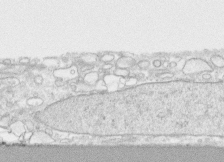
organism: Human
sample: CRL-1474